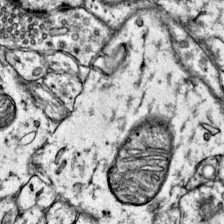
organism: Mouse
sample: Primary visual cortex